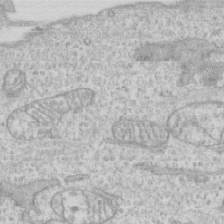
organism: Human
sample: CRL-1474